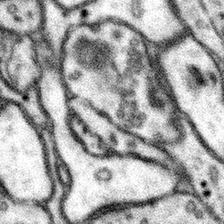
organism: Mouse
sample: Somatosensory cortex neuropil